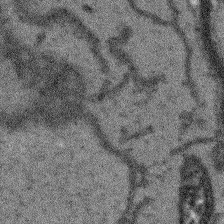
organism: Arabidopsis thaliana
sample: Root tip